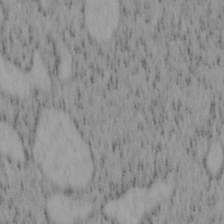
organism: Mouse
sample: OT-I killer T cells with ID8 ovarian cancer cells